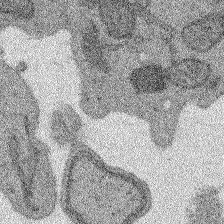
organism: Human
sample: HeLa cells